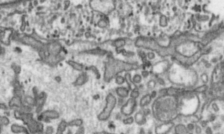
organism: Toxoplasma gondii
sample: Parasites in a vacuole inside a host cell